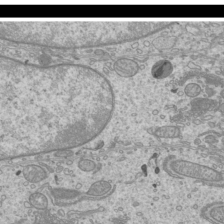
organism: Mouse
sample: Cilia; mouse epididymis